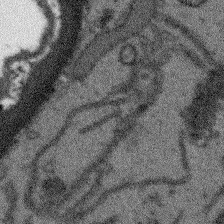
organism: Arabidopsis thaliana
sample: Root tip